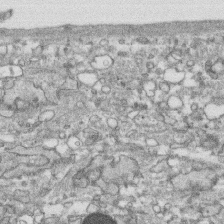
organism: Human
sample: CRL-1474